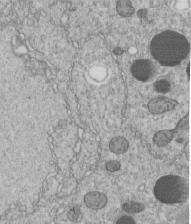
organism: C. elegans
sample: C. elegans embryo early stage